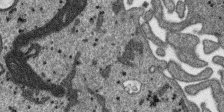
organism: Human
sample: Lung epithelial cells infected with SARS-CoV-2